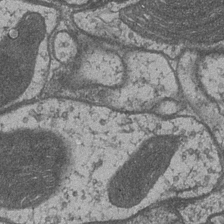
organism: Drosophila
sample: Optic medulla